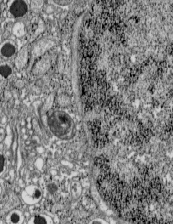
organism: C57BL Mouse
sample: Pancreatic islet